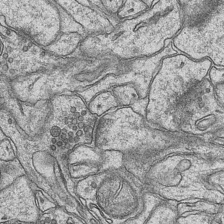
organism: Mouse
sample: CA1 Hippocampus